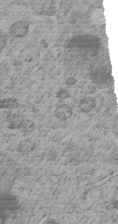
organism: C. elegans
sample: C. elegans embryo early stage